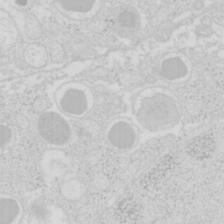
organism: Mouse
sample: Pancreas